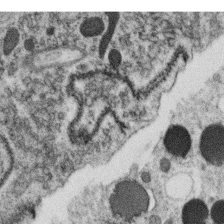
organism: C. elegans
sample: C. elegans oocyte; sperm cells